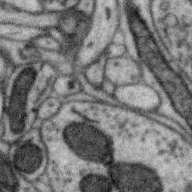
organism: Zebra finch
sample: Brain